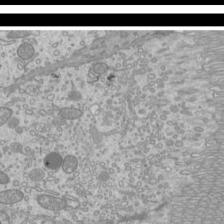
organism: Mouse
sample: Cilia; mouse epididymis